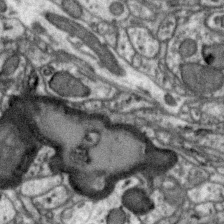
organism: Zebra finch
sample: Brain